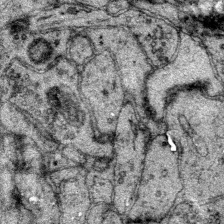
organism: Mouse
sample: Primary visual cortex